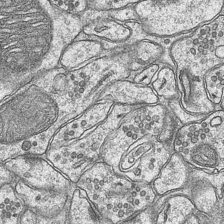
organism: Mouse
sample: CA1 Hippocampus